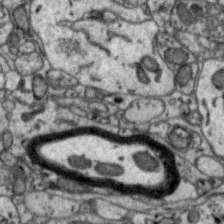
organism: Zebra finch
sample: Brain